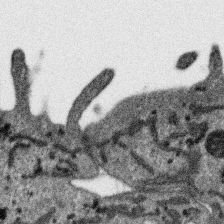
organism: Human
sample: Lung epithelial cells infected with SARS-CoV-2